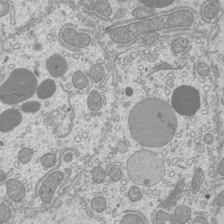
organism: Mouse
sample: Cilia; mouse epididymis